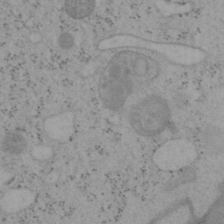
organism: Mouse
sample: OT-I killer T cells with ID8 ovarian cancer cells